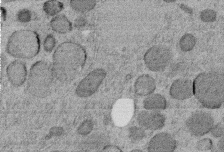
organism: C. elegans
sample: C. elegans embryo early stage